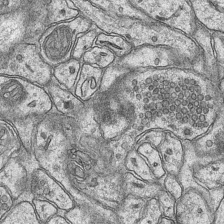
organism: Mouse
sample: CA1 Hippocampus